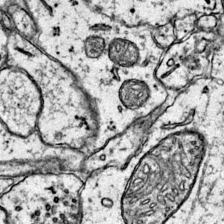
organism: Mouse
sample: Primary visual cortex